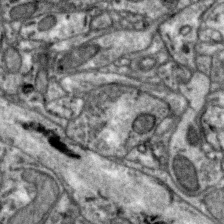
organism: Zebra finch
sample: Brain